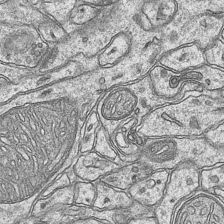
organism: Mouse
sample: CA1 Hippocampus